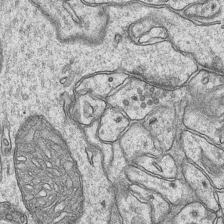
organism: Mouse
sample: CA1 Hippocampus